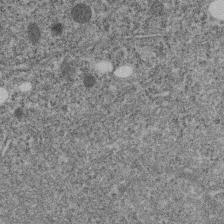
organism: C. elegans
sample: C. elegans embryo early stage